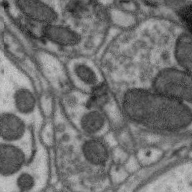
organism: Zebra finch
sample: Brain